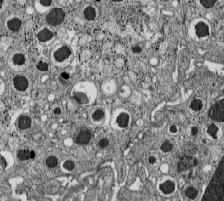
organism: C57BL Mouse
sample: Pancreatic islet